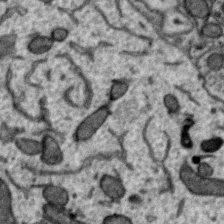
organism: Zebra finch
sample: Brain